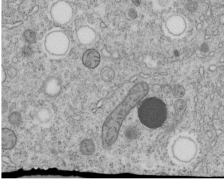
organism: C. elegans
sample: C. elegans embryo early stage